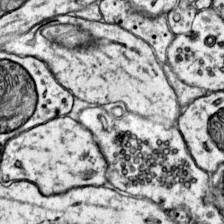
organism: Mouse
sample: Primary visual cortex